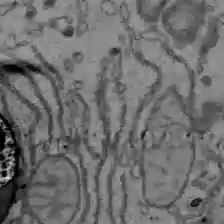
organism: C57BL Mouse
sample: Liver